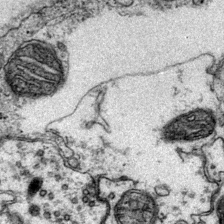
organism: Mouse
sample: Primary visual cortex